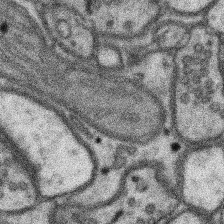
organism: Mouse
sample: Somatosensory cortex neuropil